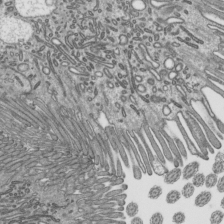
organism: Mouse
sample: Mouse epididymis efferent ductule cilia